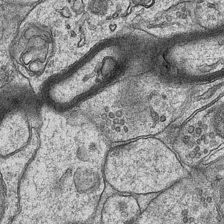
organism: Mouse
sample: CA1 Hippocampus